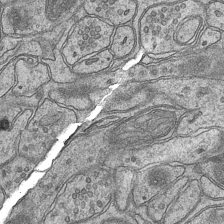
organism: Mouse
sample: CA1 Hippocampus